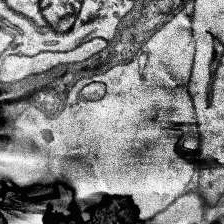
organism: Human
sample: Temporal Lobe